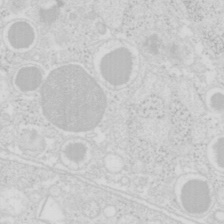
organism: Mouse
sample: Pancreas